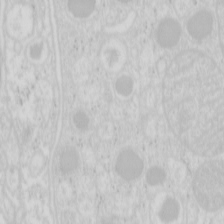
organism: Mouse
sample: Pancreas